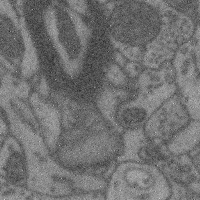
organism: Mouse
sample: Cerebral cortex